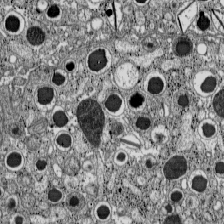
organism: C57BL Mouse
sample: Pancreatic islet